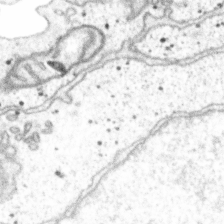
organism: Human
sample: HeLa cells